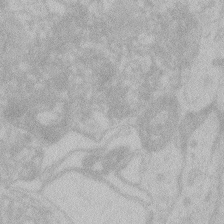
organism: Zebrafish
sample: Macrophage infected with Toxoplasma gondii